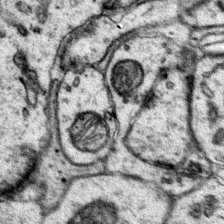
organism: Mouse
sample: Primary visual cortex